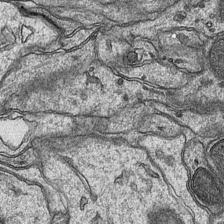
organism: Mouse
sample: CA1 Hippocampus